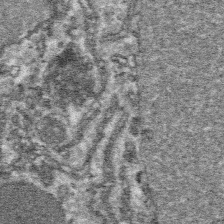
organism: Platynereis dumerilii